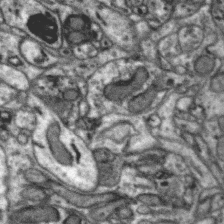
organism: Zebra finch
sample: Brain